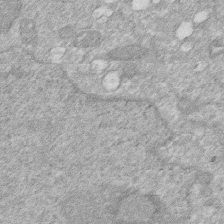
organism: Human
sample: HIV infected U937 cells